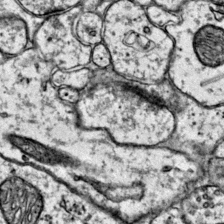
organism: Mouse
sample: Primary visual cortex